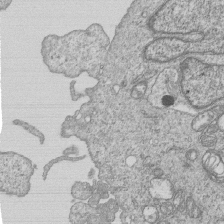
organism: Human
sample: MDA-MB-231 cells